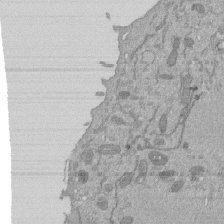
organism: Mouse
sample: ED-1 cell nuclei; centrioles